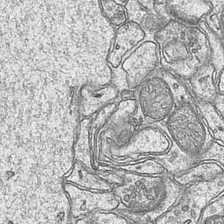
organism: Mouse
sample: CA1 Hippocampus